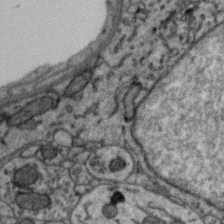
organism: Zebra finch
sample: Brain